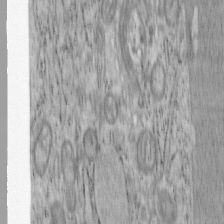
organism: Human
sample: HeLa cells